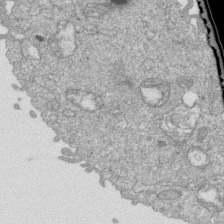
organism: Human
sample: HeLa cell HIV synapse